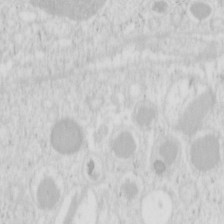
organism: Mouse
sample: Pancreas